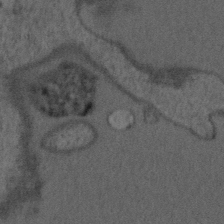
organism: Human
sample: HeLa cells